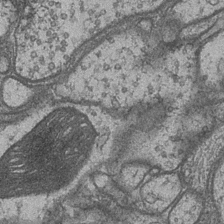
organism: Drosophila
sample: Optic medulla